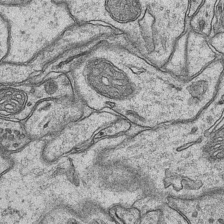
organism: Mouse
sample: CA1 Hippocampus